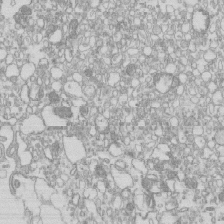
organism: Mouse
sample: Macrophages